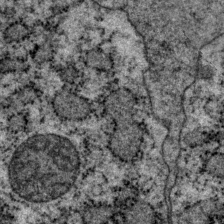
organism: P. pacificus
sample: Pharynx